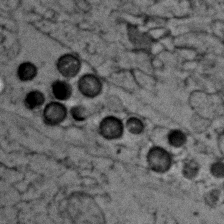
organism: Zebrafish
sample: Zebrafish embryo